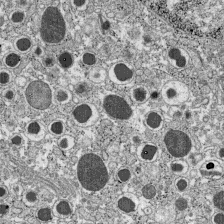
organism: C57BL Mouse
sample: Pancreatic islet